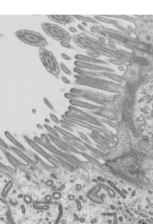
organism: Mouse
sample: Mouse epididymis efferent ductule cilia